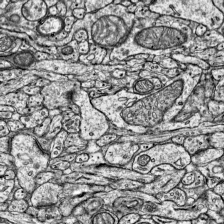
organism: Mouse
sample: Visual Cortex